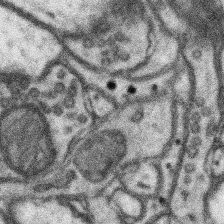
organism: Mouse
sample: Somatosensory cortex neuropil